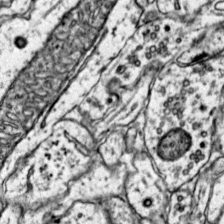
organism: Mouse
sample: Primary visual cortex